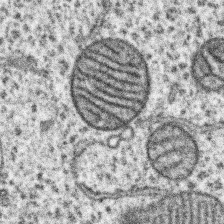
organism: Human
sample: HeLa cells